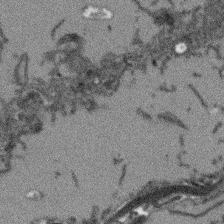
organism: Arabidopsis thaliana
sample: Root tip